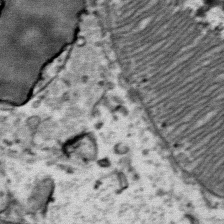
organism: Mouse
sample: Mouse Salivary gland